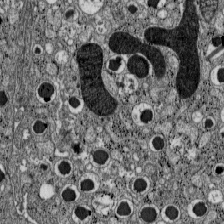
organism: C57BL Mouse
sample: Pancreatic islet